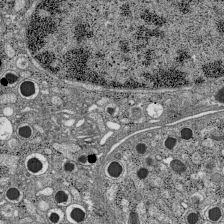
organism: C57BL Mouse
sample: Pancreatic islet